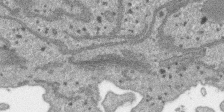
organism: Human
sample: Lung epithelial cells infected with SARS-CoV-2